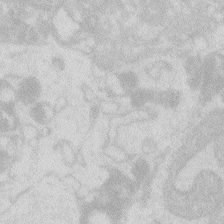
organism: Zebrafish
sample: Macrophage